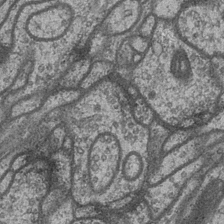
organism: Drosophila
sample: Optic medulla